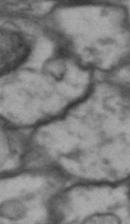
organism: Drosophila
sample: Brain